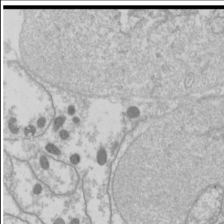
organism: Drosophila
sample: Cell division; meiosis; drosophila spermatocytes